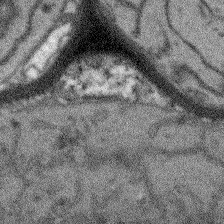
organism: Arabidopsis thaliana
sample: Root tip